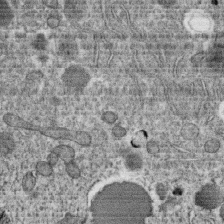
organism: C. elegans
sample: C. elegans oocyte; sperm cells